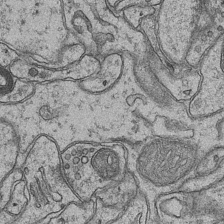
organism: Mouse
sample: CA1 Hippocampus